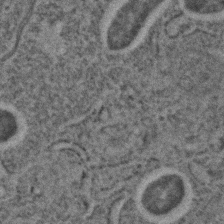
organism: C. elegans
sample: C. elegans embryo